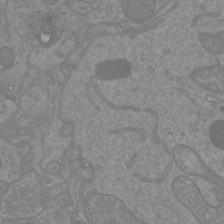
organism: Mouse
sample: Cortical neurons